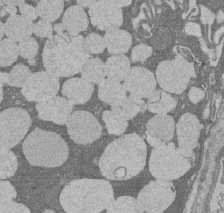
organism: Rat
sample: Salivary granule